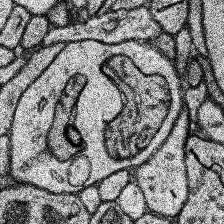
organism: Human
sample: Temporal Lobe